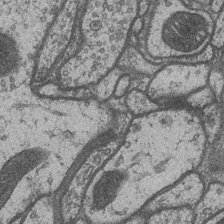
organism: Drosophila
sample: Optic medulla